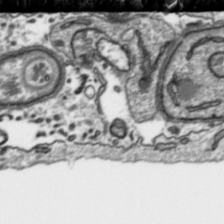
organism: Toxoplasma gondii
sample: Parasites in a vacuole inside a host cell